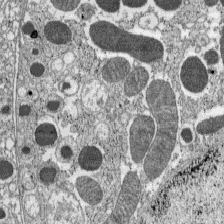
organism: C57BL Mouse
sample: Pancreatic islet